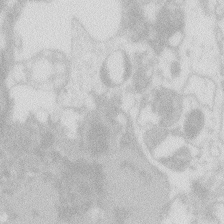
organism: Zebrafish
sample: Macrophage